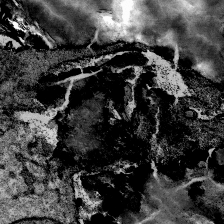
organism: Mouse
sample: Mouse Salivary gland